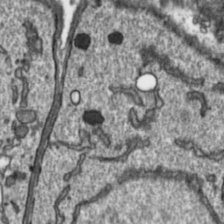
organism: Toxoplasma gondii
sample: Parasites in a vacuole inside a host cell